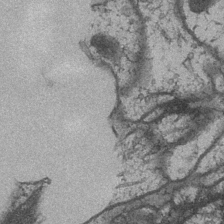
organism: Drosophila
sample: Optic medulla